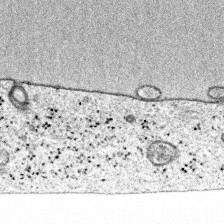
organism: Human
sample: HeLa cells